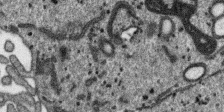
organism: Human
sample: Lung epithelial cells infected with SARS-CoV-2